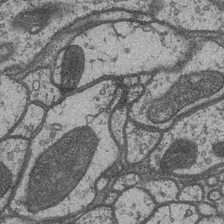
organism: Drosophila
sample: Optic medulla